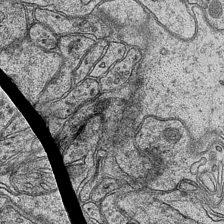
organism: Mouse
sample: CA1 Hippocampus